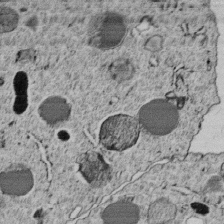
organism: C. elegans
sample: C. elegans embryo early stage